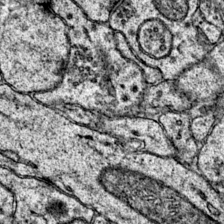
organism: Mouse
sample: Primary visual cortex